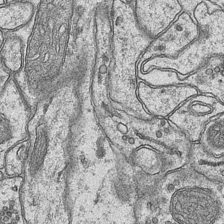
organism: Mouse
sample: CA1 Hippocampus